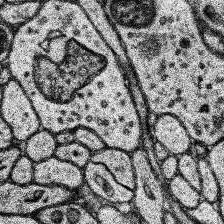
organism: Human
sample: Temporal Lobe